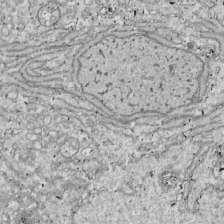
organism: Drosophila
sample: Cell division; meiosis; drosophila spermatocytes